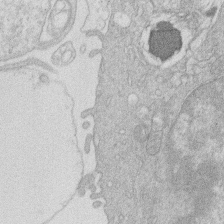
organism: Human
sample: Macrophage cells